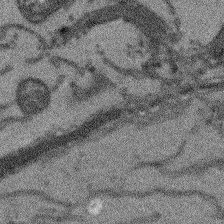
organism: Arabidopsis thaliana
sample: Root tip